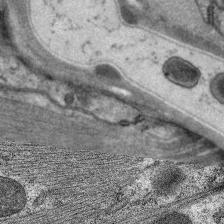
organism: C. elegans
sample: Pharynx